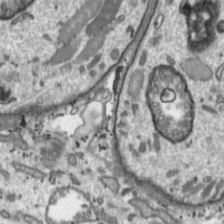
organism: Toxoplasma gondii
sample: Parasites in a vacuole inside a host cell